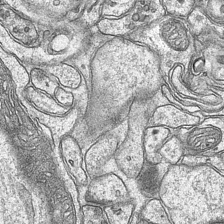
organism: Mouse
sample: CA1 Hippocampus